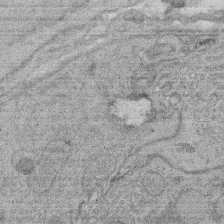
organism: Rat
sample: Salivary granule